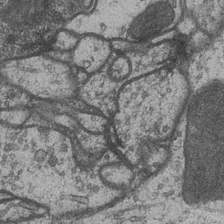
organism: Drosophila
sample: Optic medulla